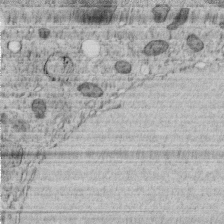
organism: C. elegans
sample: C. elegans embryo early stage